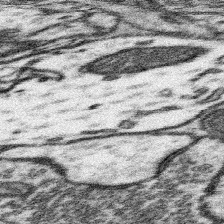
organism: Mouse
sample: Somatosensory cortex neuropil